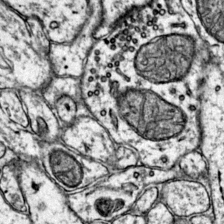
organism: Mouse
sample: Primary visual cortex